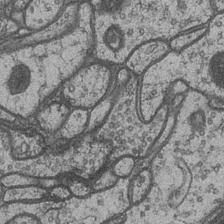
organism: Drosophila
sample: Optic medulla